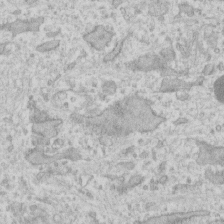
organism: Human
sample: Fibroblast cells